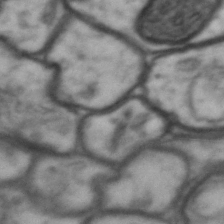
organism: Drosophila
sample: Brain